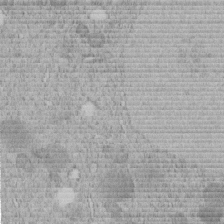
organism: C. elegans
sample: C. elegans embryo early stage